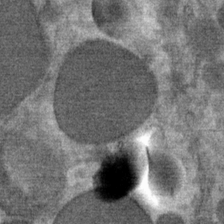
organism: Mouse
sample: Mouse Salivary gland